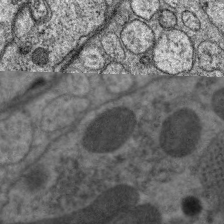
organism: C. elegans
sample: Pharynx